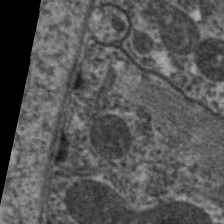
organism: C. elegans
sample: Pharynx